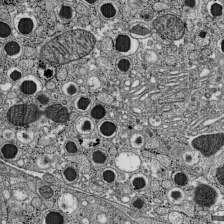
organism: C57BL Mouse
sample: Pancreatic islet